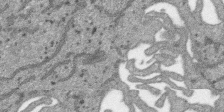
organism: Human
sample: Lung epithelial cells infected with SARS-CoV-2